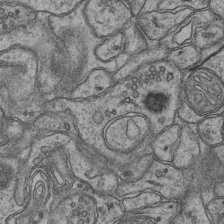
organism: Mouse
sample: CA1 Hippocampus